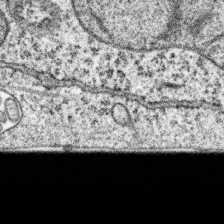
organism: Human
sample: HeLa cells